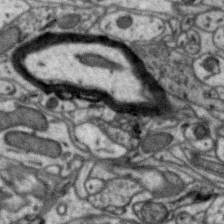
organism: Zebra finch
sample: Brain